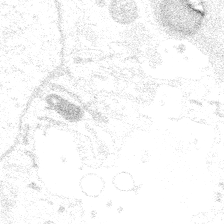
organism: Spongilla lacustris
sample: Multiple